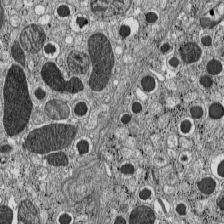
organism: C57BL Mouse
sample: Pancreatic islet